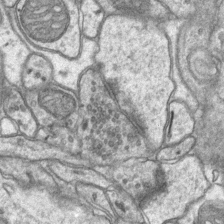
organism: Mouse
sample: CA1 Hippocampus